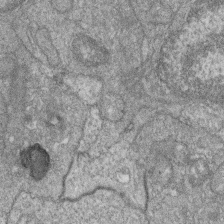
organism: Zebrafish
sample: Cilia; retinal pigment epithelium